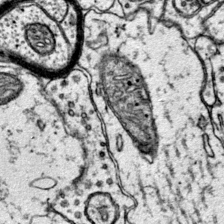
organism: Mouse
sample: Primary visual cortex